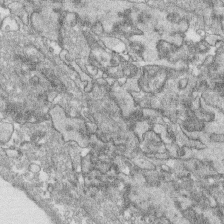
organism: Human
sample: CRL-1474